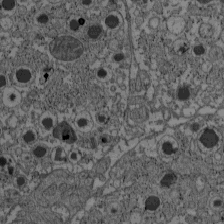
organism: C57BL Mouse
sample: Pancreatic islet